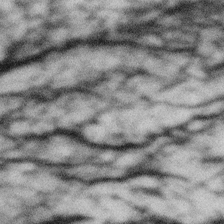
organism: Gemmata obscuriglobus